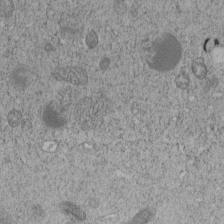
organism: C. elegans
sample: C. elegans embryo early stage